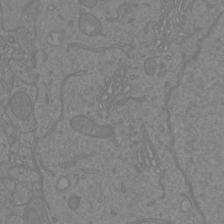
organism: Mouse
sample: Cortical neurons